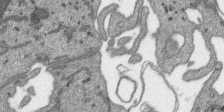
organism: Human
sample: Lung epithelial cells infected with SARS-CoV-2